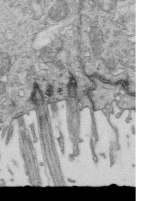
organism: Mouse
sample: Multiciliated cells